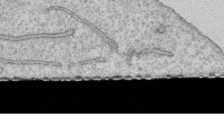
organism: Human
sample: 1205lu cells